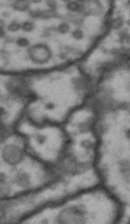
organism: Drosophila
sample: Brain